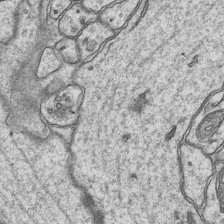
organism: Mouse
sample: CA1 Hippocampus